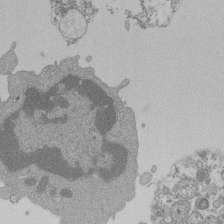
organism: Mouse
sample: Activated Pmel transgenic CD8+ T Cells